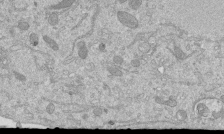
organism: Mouse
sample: ED-1 cell nuclei; centrioles